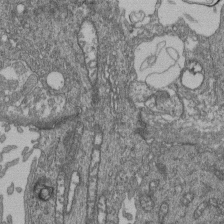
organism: Human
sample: Retinal organoid Rod and Cone cells